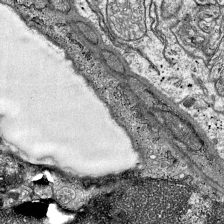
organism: Mouse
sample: Visual Cortex